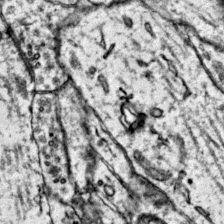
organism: Mouse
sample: Primary visual cortex